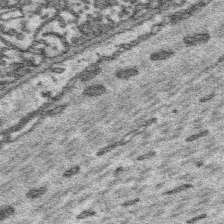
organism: Platynereis dumerilii